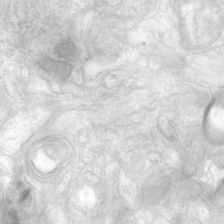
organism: Human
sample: Neocortex